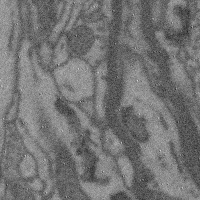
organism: Mouse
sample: Cerebral cortex